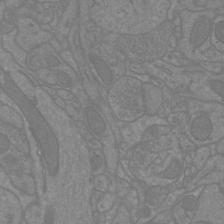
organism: Mouse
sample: Cortical neurons